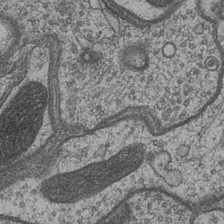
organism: Drosophila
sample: Optic medulla